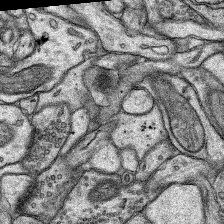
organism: Rat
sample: Hippocampus